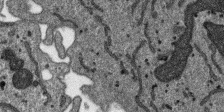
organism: Human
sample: Lung epithelial cells infected with SARS-CoV-2